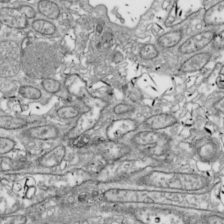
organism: Drosophila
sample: Cell division; meiosis; drosophila spermatocytes